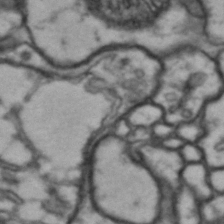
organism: Drosophila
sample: Brain